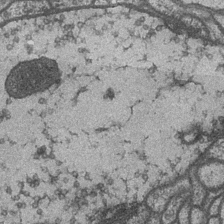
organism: Drosophila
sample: Optic medulla